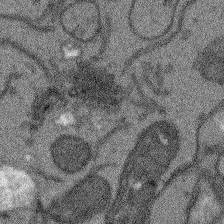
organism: Arabidopsis thaliana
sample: Root tip